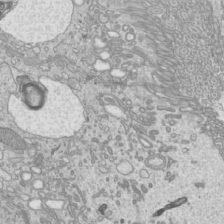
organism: Mouse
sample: Cilia; mouse epididymis